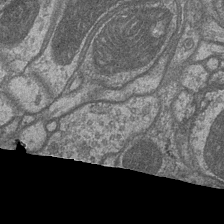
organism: Drosophila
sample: Optic medulla